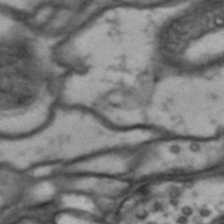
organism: Drosophila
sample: Brain